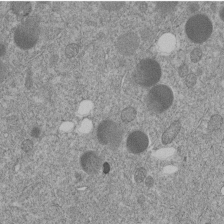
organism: C. elegans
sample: C. elegans embryo early stage